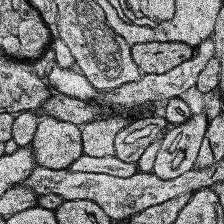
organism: Human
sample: Temporal Lobe